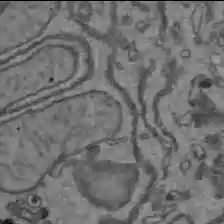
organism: C57BL Mouse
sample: Liver